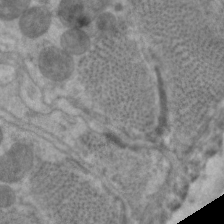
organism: C. elegans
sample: Pharynx